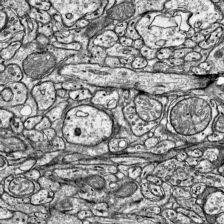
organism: Mouse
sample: Visual Cortex